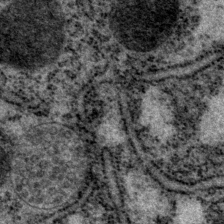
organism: P. pacificus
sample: Pharynx